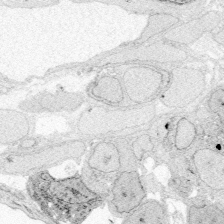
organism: Zebrafish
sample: Whole-Brain